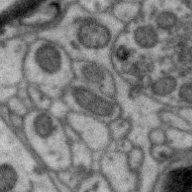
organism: Zebra finch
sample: Brain